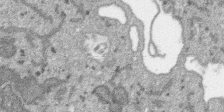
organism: Human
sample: Lung epithelial cells infected with SARS-CoV-2